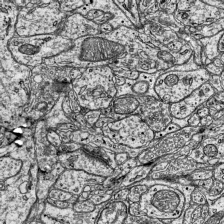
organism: Mouse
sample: Visual Cortex